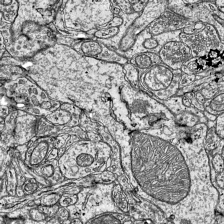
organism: Mouse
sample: Visual Cortex